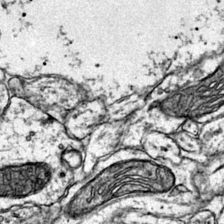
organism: Mouse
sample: Primary visual cortex